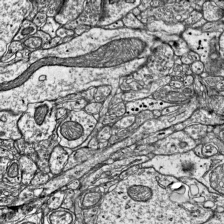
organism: Mouse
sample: Visual Cortex